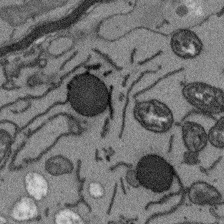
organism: Arabidopsis thaliana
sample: Root tip